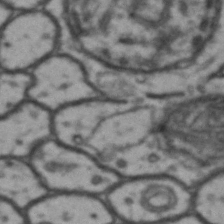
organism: Drosophila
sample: Brain